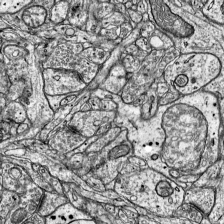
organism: Mouse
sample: Visual Cortex